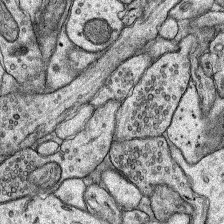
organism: Rat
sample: Hippocampus